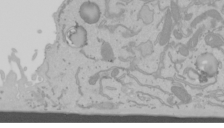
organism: Mouse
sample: Cancer cell death in ED-1 cells